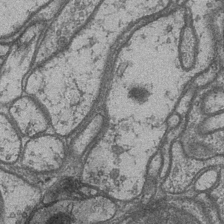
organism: Drosophila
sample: Optic medulla